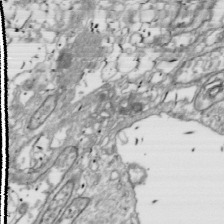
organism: Drosophila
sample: Cell division; meiosis; drosophila spermatocytes